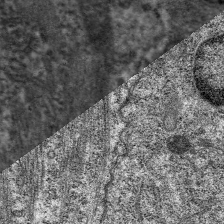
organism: C. elegans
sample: Pharynx